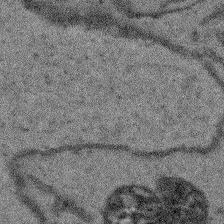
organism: Arabidopsis thaliana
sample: Root tip